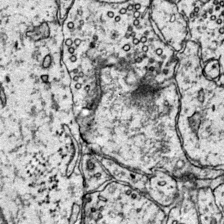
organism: Mouse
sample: Primary visual cortex